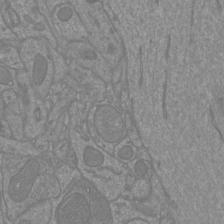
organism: Mouse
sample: Cortical neurons